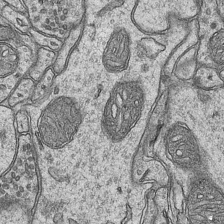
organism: Mouse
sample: CA1 Hippocampus